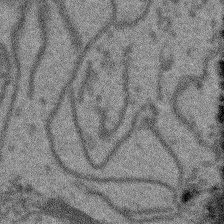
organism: Arabidopsis thaliana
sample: Root tip